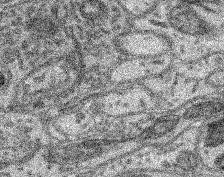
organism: Mouse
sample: Retina